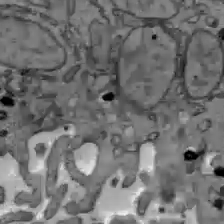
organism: C57BL Mouse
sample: Liver